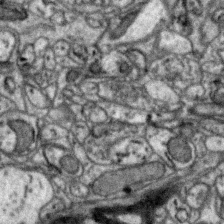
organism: Zebra finch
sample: Brain